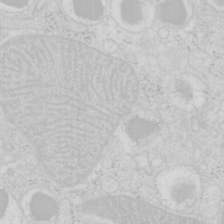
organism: Mouse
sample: Pancreas